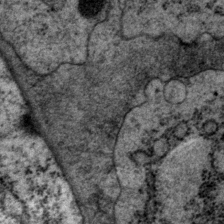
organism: P. pacificus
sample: Pharynx